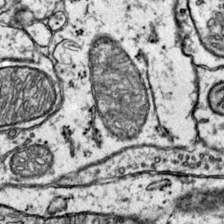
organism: Mouse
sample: Primary visual cortex